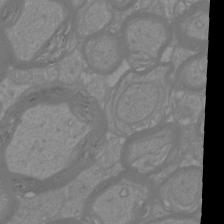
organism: Mouse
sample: Cortical neurons